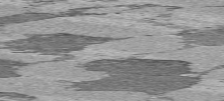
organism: C57BL Mouse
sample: Heart